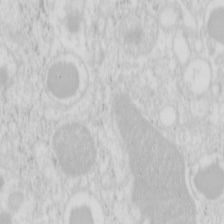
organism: Mouse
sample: Pancreas